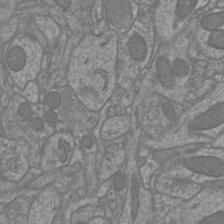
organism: Mouse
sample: Cortical neurons